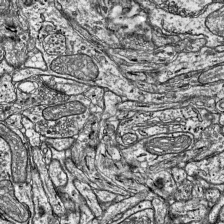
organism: Mouse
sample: Visual Cortex